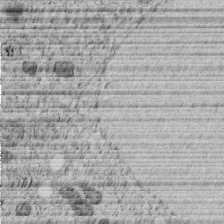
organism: C. elegans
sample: C. elegans embryo early stage